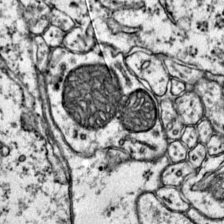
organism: Mouse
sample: Primary visual cortex